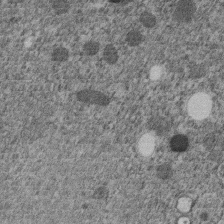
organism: C. elegans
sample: C. elegans embryo early stage